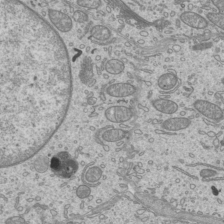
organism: Mouse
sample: Cilia; mouse epididymis